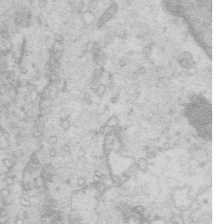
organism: Mouse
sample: Multiciliated cells